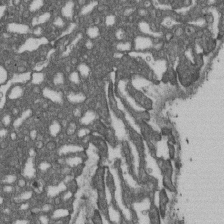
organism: Drosophila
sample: Nephrocyte